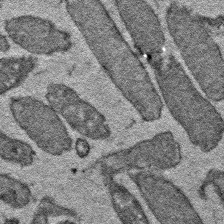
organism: E. coli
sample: E. Coli Bacteria